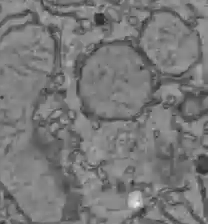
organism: C57BL Mouse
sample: Liver